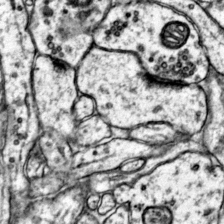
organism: Mouse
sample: Primary visual cortex